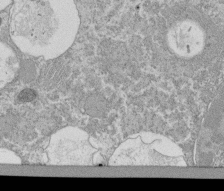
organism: Tetrahymena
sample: Cilia in tetrahymena